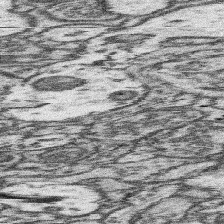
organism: Mouse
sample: Somatosensory cortex neuropil